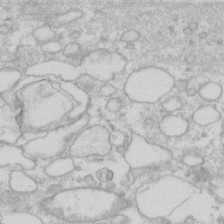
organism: Human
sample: Fibroblast cells